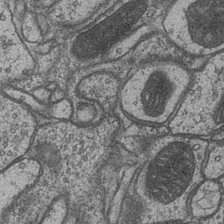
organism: Drosophila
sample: Optic medulla